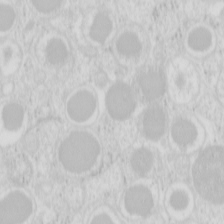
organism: Mouse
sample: Pancreas